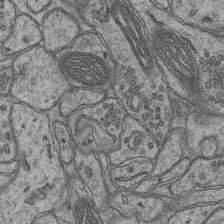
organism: Mouse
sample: CA1 Hippocampus